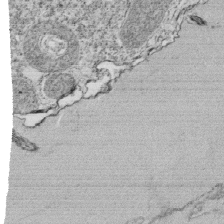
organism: Tetrahymena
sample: Cilia in tetrahymena